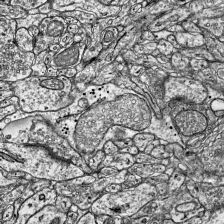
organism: Mouse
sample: Visual Cortex